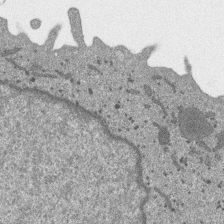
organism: Human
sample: Lung epithelial cells infected with SARS-CoV-2